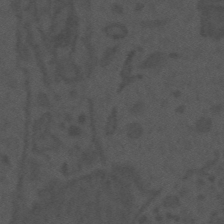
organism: Mouse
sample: Suprachiasmatic nucleus